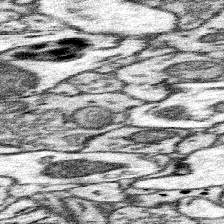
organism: Mouse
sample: Somatosensory cortex neuropil